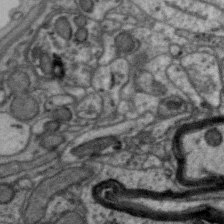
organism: Zebra finch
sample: Brain